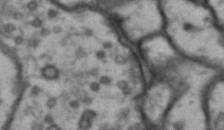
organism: Drosophila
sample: Brain